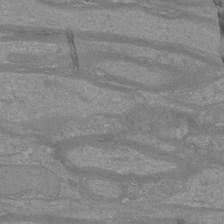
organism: Mouse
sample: Cortical neurons